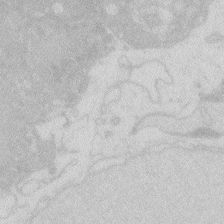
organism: Zebrafish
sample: Macrophage